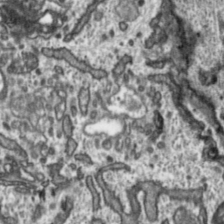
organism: Toxoplasma gondii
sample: Parasites in a vacuole inside a host cell